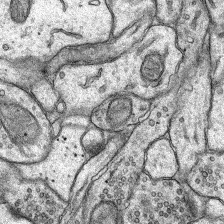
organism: Rat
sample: Hippocampus